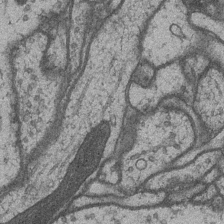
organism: Drosophila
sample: Optic medulla